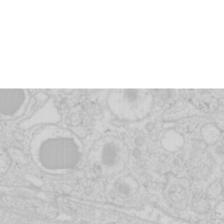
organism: Mouse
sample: Pancreas